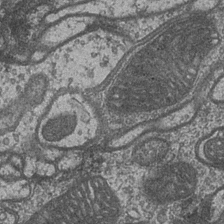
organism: Drosophila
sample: Optic medulla